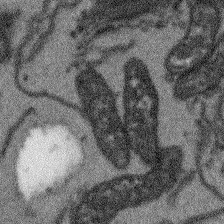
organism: Arabidopsis thaliana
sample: Root tip